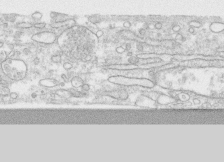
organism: Human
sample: CRL-1474